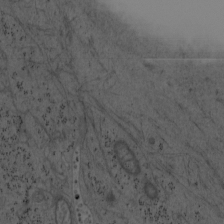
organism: Mouse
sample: OT-I killer T cells with ID8 ovarian cancer cells